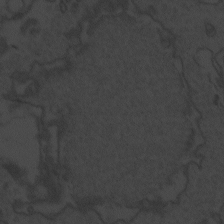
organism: Zebrafish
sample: Macrophage infected with Toxoplasma gondii